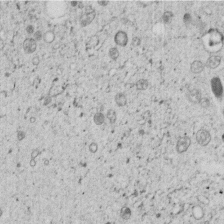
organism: C. elegans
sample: C. elegans embryo early stage